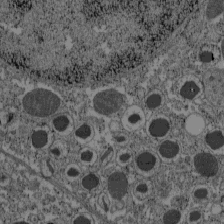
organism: C57BL Mouse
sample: Pancreatic islet